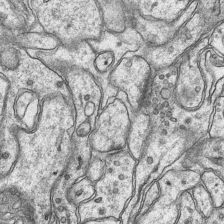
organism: Mouse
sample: CA1 Hippocampus